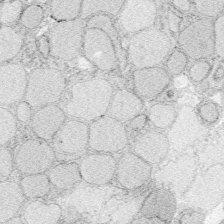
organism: Zebrafish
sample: Whole-Brain